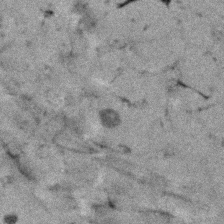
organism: Human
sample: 1205lu cells